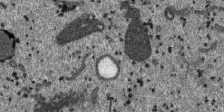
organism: Human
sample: Lung epithelial cells infected with SARS-CoV-2